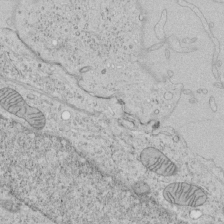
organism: Human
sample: Mitochondria in HCT116 cells